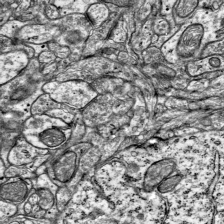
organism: Mouse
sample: Visual Cortex